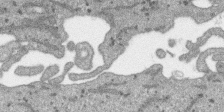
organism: Human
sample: Lung epithelial cells infected with SARS-CoV-2